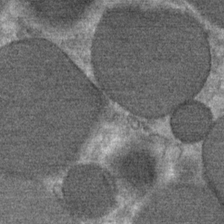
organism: Mouse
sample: Mouse Salivary gland